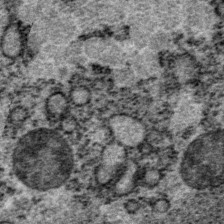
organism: P. pacificus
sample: Pharynx